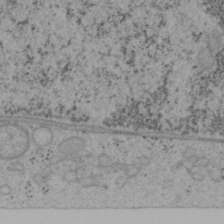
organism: Human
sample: HeLa cells